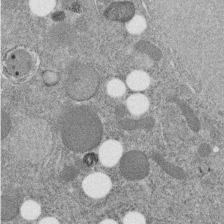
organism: C. elegans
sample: C. elegans embryo early stage